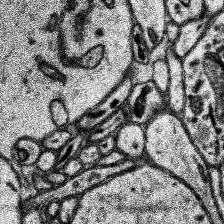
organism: Human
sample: Temporal Lobe